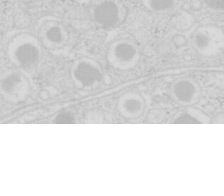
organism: Mouse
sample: Pancreas